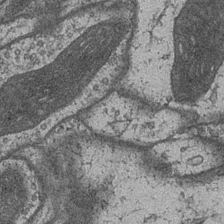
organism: Drosophila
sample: Optic medulla